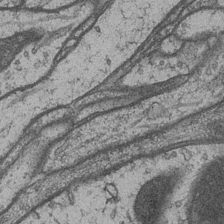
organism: Drosophila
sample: Optic medulla